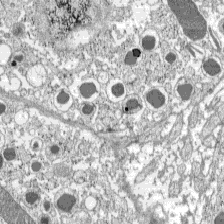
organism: C57BL Mouse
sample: Pancreatic islet